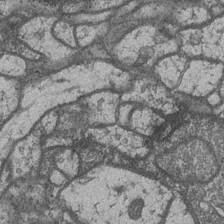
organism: Drosophila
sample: Optic medulla